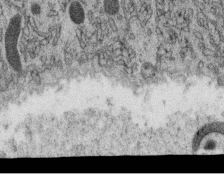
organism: C. elegans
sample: C. elegans oocyte; sperm cells